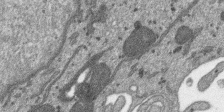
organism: Human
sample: Lung epithelial cells infected with SARS-CoV-2